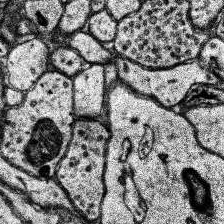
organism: Human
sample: Temporal Lobe